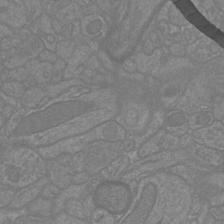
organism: Mouse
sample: Cortical neurons